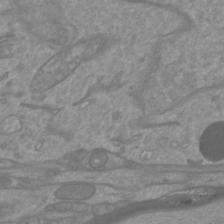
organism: Mouse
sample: Cortical neurons